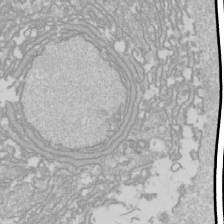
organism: Drosophila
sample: Cell division; meiosis; drosophila spermatocytes